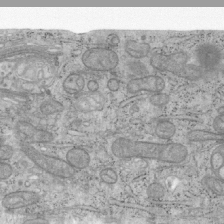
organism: Human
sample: HeLa cells